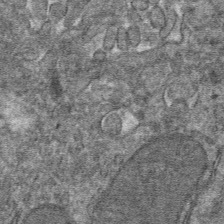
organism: Mouse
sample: Mouse hepatocytes